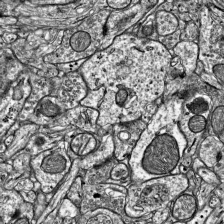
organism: Mouse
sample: Visual Cortex